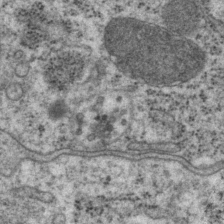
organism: P. pacificus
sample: Pharynx